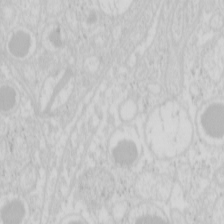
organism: Mouse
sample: Pancreas